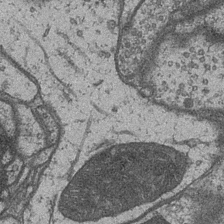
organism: Drosophila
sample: Optic medulla